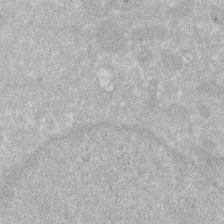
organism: Human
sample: HIV infected U937 cells